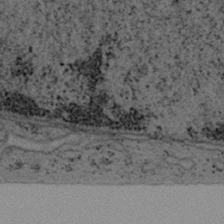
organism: Human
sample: HeLa cells